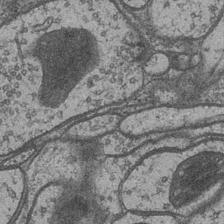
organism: Drosophila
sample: Optic medulla